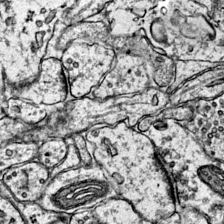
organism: Mouse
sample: Primary visual cortex